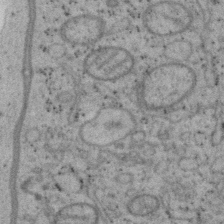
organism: Human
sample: HeLa cells